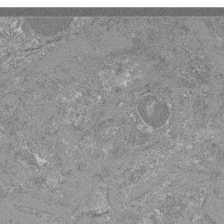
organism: Mouse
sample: Glomerulus